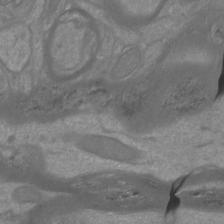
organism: Mouse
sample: Cortical neurons